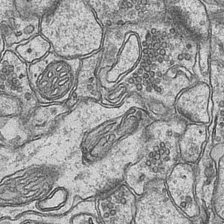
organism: Mouse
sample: CA1 Hippocampus